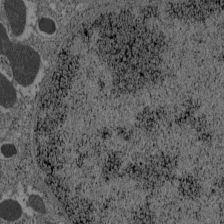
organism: C57BL Mouse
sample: Pancreatic islet